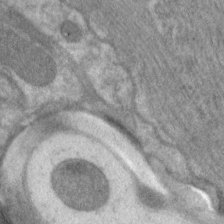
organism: C. elegans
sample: Pharynx